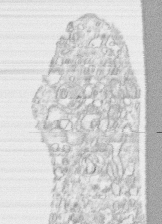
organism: Human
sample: CRL-1474